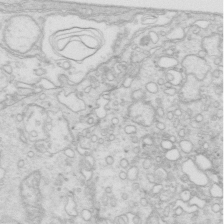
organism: Mouse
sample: Multiciliated cells